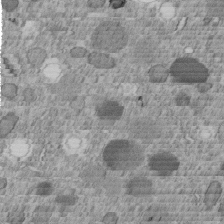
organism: C. elegans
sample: C. elegans embryo early stage